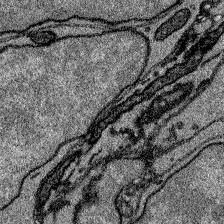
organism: Zebrafish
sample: Larval olfactory bulb